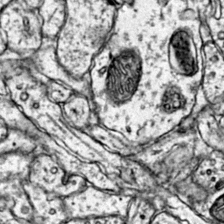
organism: Mouse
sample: Primary visual cortex